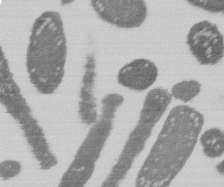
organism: E. coli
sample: Bacterial nucleoid